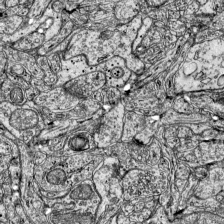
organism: Mouse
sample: Visual Cortex